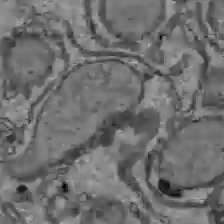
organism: C57BL Mouse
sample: Liver